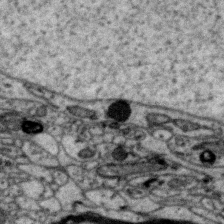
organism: Zebra finch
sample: Brain